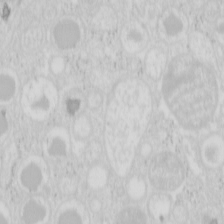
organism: Mouse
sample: Pancreas